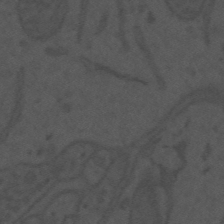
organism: Mouse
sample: Suprachiasmatic nucleus